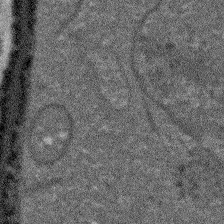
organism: Arabidopsis thaliana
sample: Root tip